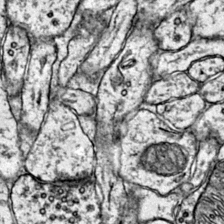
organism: Mouse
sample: Primary visual cortex